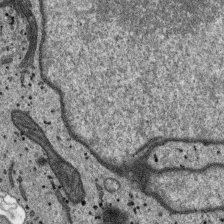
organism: Human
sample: Lung epithelial cells, uninfected (mock) control